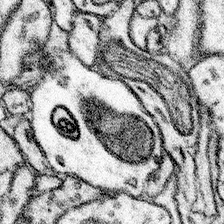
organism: Mouse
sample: Somatosensory cortex neuropil